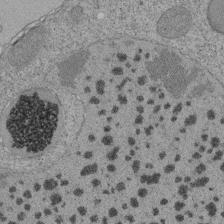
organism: Tetrahymena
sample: Cilia in tetrahymena